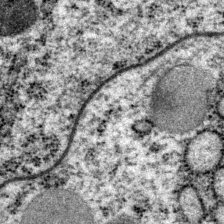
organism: P. pacificus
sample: Pharynx